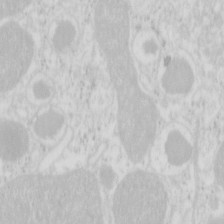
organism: Mouse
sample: Pancreas